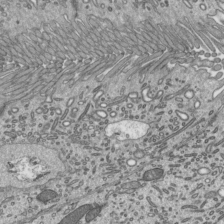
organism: Mouse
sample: Mouse epididymis efferent ductule cilia